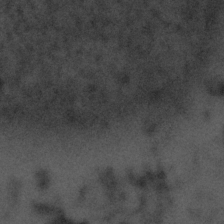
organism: Tuwongella immobilis